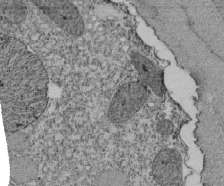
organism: Tetrahymena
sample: Cilia in tetrahymena